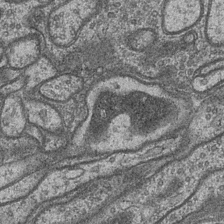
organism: Drosophila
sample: Optic medulla